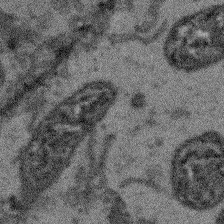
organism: Arabidopsis thaliana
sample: Root tip